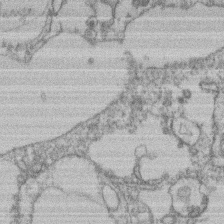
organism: Mouse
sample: T cell stromal cell synapse